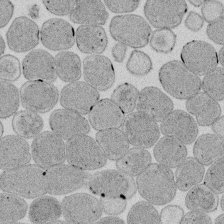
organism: E. coli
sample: Bacterial nucleoid